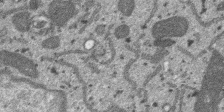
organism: Human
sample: Lung epithelial cells infected with SARS-CoV-2